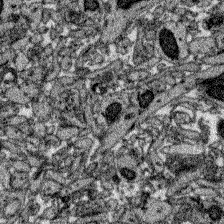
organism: Zebrafish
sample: Larval olfactory bulb